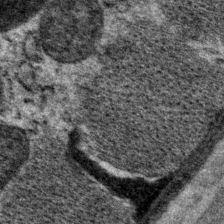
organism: P. pacificus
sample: Pharynx